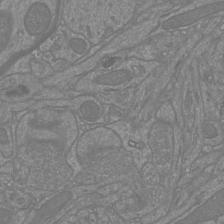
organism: Mouse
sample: Cortical neurons